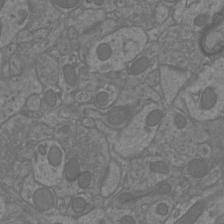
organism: Mouse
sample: Cortical neurons